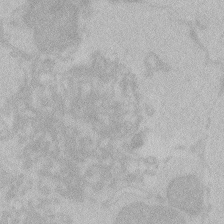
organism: Zebrafish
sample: Macrophage infected with Toxoplasma gondii